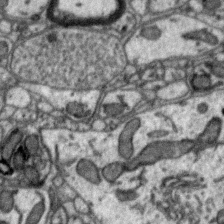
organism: Zebra finch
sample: Brain